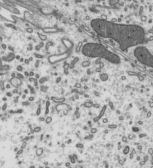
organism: Mouse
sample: Mouse epididymis efferent ductule cilia